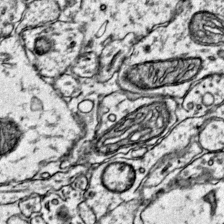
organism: Mouse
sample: Primary visual cortex